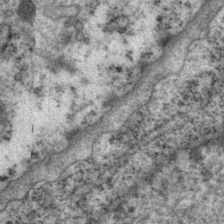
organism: P. pacificus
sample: Pharynx